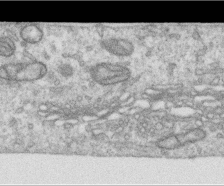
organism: Human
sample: Centriole in RPE cells